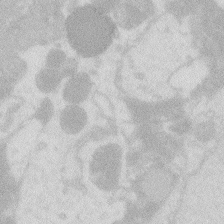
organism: Zebrafish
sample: Macrophage